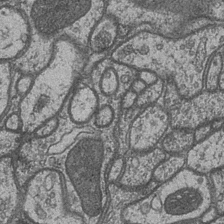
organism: Drosophila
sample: Optic medulla